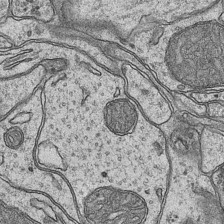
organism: Mouse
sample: CA1 Hippocampus